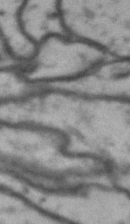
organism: Drosophila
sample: Brain